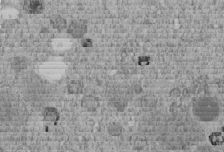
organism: C. elegans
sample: C. elegans embryo early stage